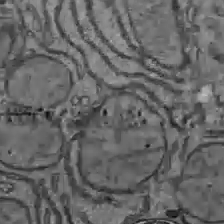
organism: C57BL Mouse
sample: Liver